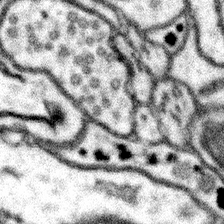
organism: Mouse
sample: Somatosensory cortex neuropil